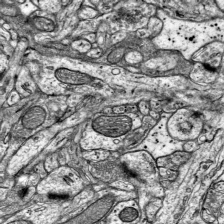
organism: Mouse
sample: Visual Cortex